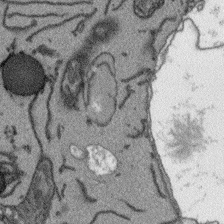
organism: Arabidopsis thaliana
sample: Root tip